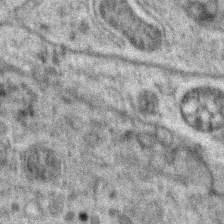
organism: Zebrafish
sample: Zebrafish embryo